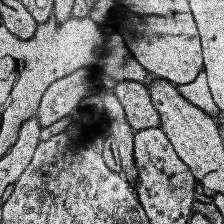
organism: Human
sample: Temporal Lobe